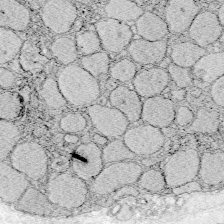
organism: Zebrafish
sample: Whole-Brain